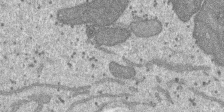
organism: Human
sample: Lung epithelial cells infected with SARS-CoV-2